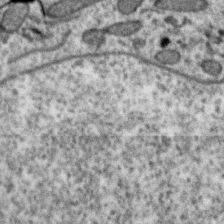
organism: Zebra finch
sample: Brain